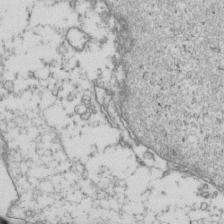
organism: Human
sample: Activated Jurkat CD4+ T cells